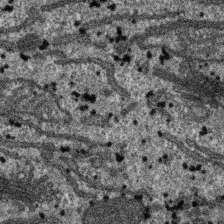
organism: Human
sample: Lung epithelial cells infected with SARS-CoV-2